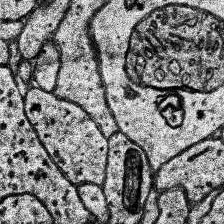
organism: Human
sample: Temporal Lobe